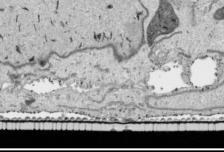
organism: Human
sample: Mitochondria in HCT116 cells